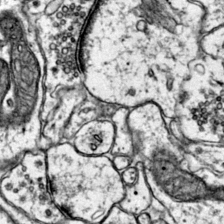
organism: Mouse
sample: Primary visual cortex